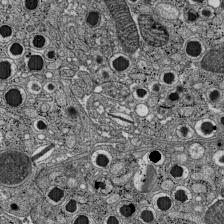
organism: C57BL Mouse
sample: Pancreatic islet